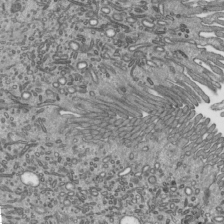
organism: Mouse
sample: Mouse epididymis efferent ductule cilia